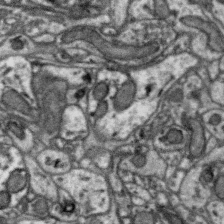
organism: Zebra finch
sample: Brain